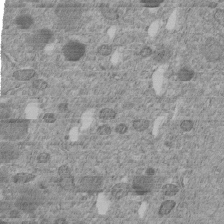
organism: C. elegans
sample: C. elegans embryo early stage